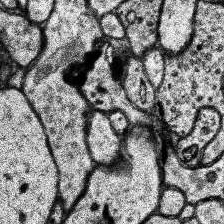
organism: Human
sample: Temporal Lobe